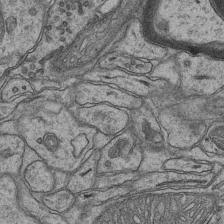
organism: Mouse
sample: CA1 Hippocampus